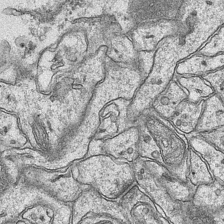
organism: Mouse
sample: CA1 Hippocampus